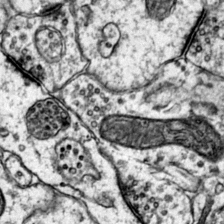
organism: Mouse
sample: Primary visual cortex